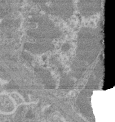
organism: Mouse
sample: Glomerulus